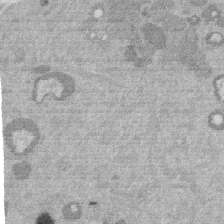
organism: Mouse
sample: Dividing mouse embryo 1 cell stage